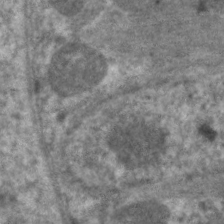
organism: C. elegans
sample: Pharynx